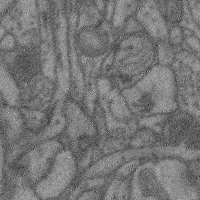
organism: Mouse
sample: Cerebral cortex